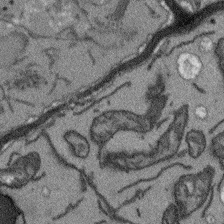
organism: Arabidopsis thaliana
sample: Root tip